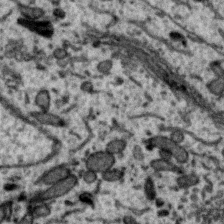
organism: Zebra finch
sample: Brain